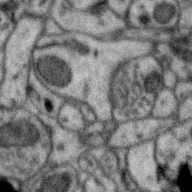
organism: Zebra finch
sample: Brain